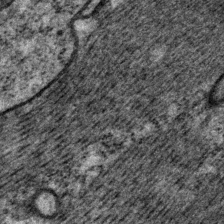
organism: P. pacificus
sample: Pharynx